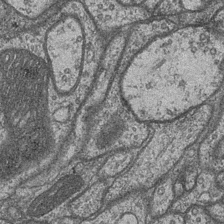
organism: Drosophila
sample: Optic medulla